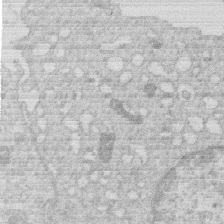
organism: Human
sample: Macrophage cells